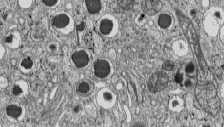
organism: C57BL Mouse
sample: Pancreatic islet